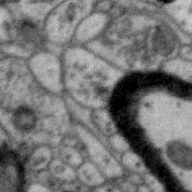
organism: Zebra finch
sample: Brain